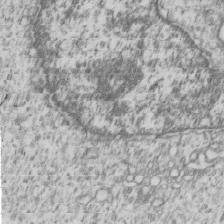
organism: Human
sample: MDA-MB-231 cells